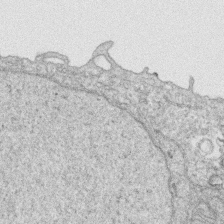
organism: Human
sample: HeLa cell HIV synapse